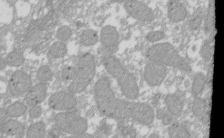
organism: Xenopus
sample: Cilia; centrioles in frog embryo cells